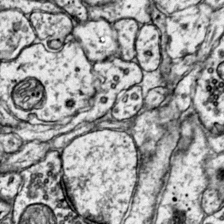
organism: Mouse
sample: Primary visual cortex